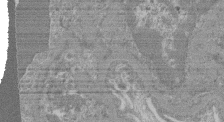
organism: Mouse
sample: Glomerulus